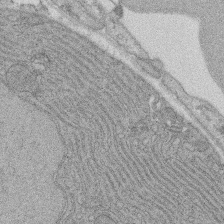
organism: Rat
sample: Salivary granule